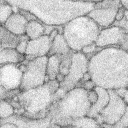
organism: Rabbit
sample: Retina